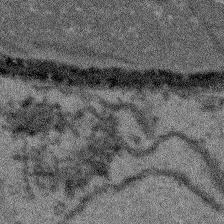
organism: Arabidopsis thaliana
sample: Root tip